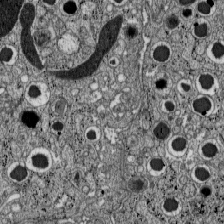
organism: C57BL Mouse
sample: Pancreatic islet